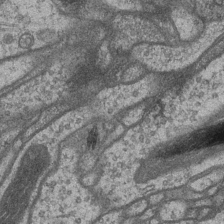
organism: Drosophila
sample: Optic medulla